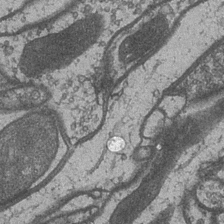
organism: Drosophila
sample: Optic medulla